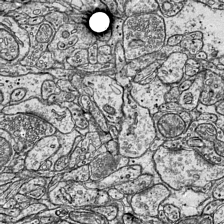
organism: Mouse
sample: Visual Cortex